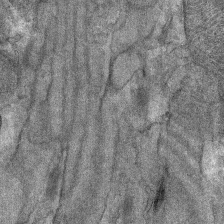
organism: Mouse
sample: Mouse Salivary gland